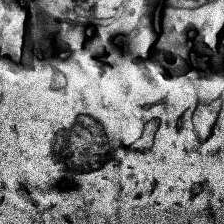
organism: Human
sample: Temporal Lobe